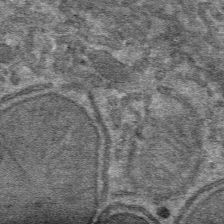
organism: Mouse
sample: Mouse hepatocytes